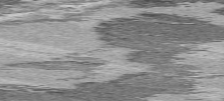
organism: C57BL Mouse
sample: Heart